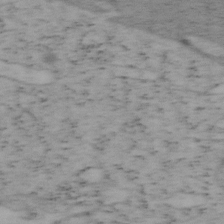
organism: Mouse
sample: OT-I killer T cells with ID8 ovarian cancer cells